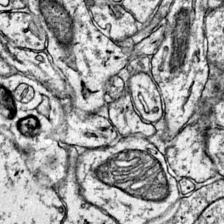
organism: Mouse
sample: Primary visual cortex